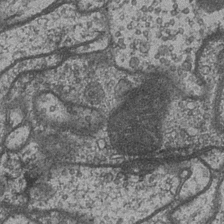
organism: Drosophila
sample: Optic medulla